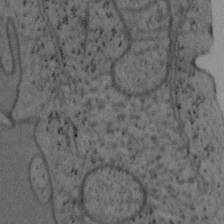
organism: Human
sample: HeLa cells